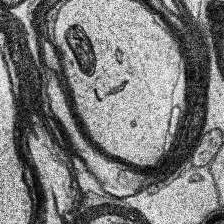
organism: Human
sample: Temporal Lobe